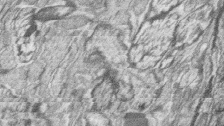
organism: Zebrafish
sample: synaptic ribbons in rod cells and cone cells